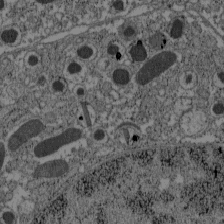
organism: C57BL Mouse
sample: Pancreatic islet